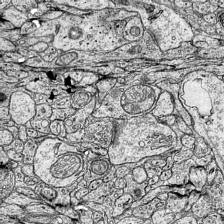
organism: Mouse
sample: Visual Cortex